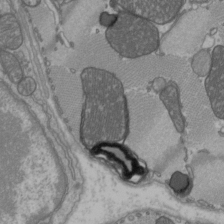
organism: C57BL Mouse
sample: Heart